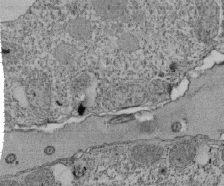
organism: Tetrahymena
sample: Cilia in tetrahymena